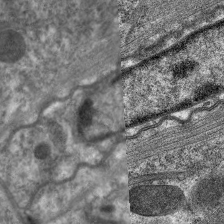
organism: C. elegans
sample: Pharynx